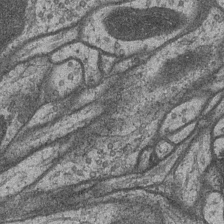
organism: Drosophila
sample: Optic medulla